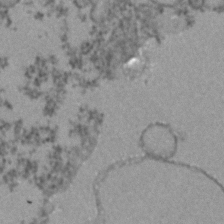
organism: Zebrafish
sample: Zebrafish embryo